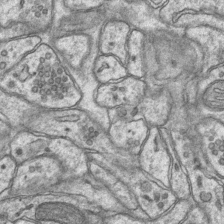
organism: Mouse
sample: CA1 Hippocampus